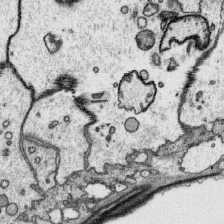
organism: Platynereis dumerilii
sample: Parapodia